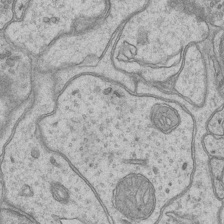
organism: Mouse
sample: CA1 Hippocampus